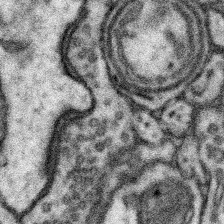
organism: Mouse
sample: Somatosensory cortex neuropil